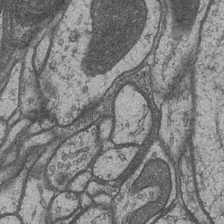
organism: Drosophila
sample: Optic medulla